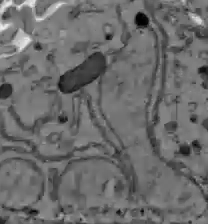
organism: C57BL Mouse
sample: Liver